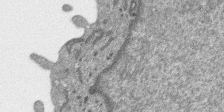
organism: Human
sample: Lung epithelial cells infected with SARS-CoV-2